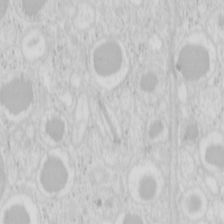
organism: Mouse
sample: Pancreas